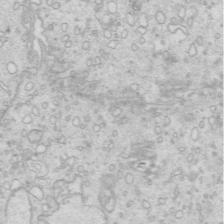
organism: Mouse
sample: Multiciliated cells